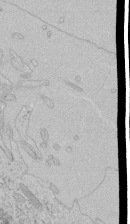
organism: Human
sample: Mitochondria in HCT116 cells